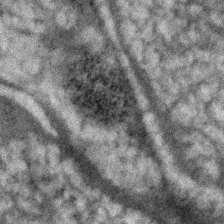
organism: Human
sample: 1205lu cells